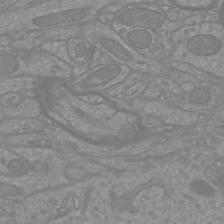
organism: Mouse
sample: Cortical neurons